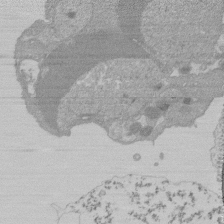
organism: Mouse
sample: Activated Pmel transgenic CD8+ T Cells